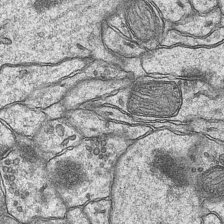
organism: Mouse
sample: CA1 Hippocampus